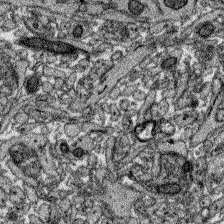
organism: Zebrafish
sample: Larval olfactory bulb